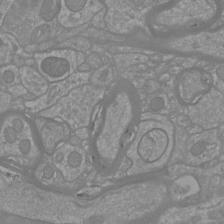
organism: Mouse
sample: Cortical neurons